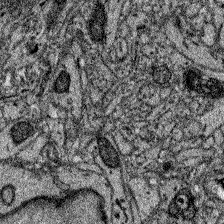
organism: Zebrafish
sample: Larval olfactory bulb